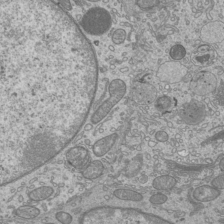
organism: Mouse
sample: Cilia; mouse epididymis